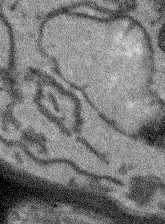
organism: Arabidopsis thaliana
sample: Root tip